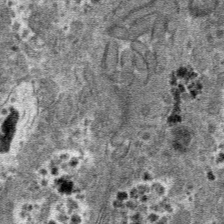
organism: Mouse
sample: Mouse hepatocytes